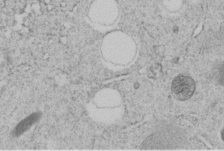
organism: C. elegans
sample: C. elegans embryo early stage